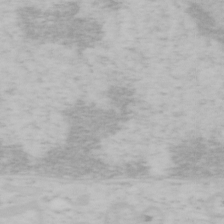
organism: Mouse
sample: OT-I killer T cells with ID8 ovarian cancer cells